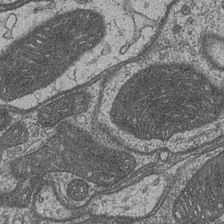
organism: Drosophila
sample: Optic medulla